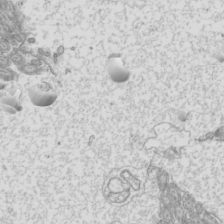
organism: Mouse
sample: Cilia; mouse epididymis